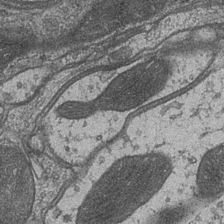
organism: Drosophila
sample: Optic medulla